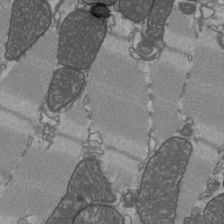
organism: C57BL Mouse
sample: Heart